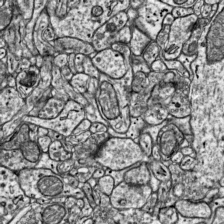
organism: Mouse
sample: Visual Cortex